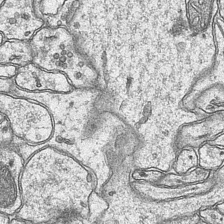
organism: Mouse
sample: CA1 Hippocampus